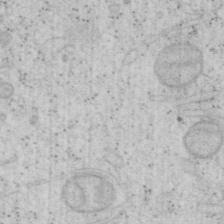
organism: Human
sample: HeLa cells